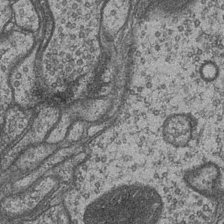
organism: Drosophila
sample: Optic medulla